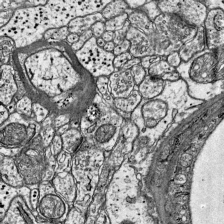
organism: Mouse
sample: Visual Cortex